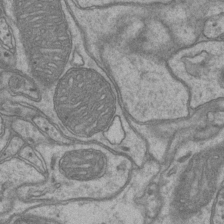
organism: Mouse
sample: CA1 Hippocampus